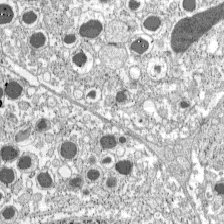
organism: C57BL Mouse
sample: Pancreatic islet